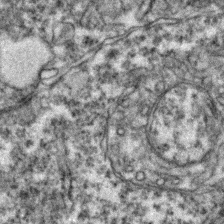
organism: Zebrafish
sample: Zebrafish embryo